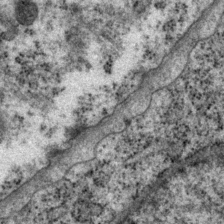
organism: P. pacificus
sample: Pharynx